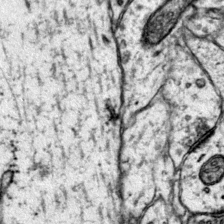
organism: Mouse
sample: Primary visual cortex